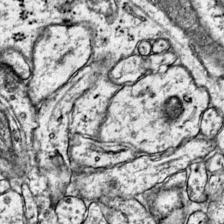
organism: Mouse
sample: Primary visual cortex